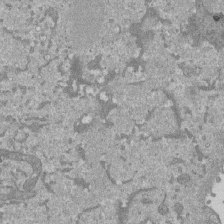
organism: Mouse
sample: ED-1 cell nuclei; centrioles